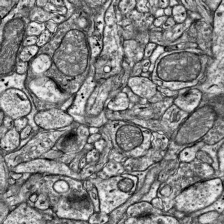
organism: Mouse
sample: Visual Cortex